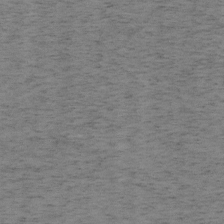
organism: Mouse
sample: OT-I killer T cells with ID8 ovarian cancer cells